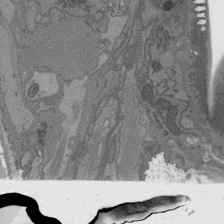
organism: C. elegans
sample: AFD neurons C. elegans